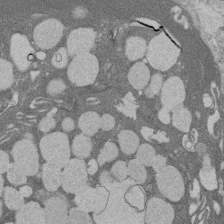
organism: Rat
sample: Salivary granule